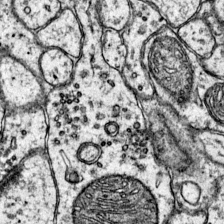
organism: Mouse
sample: Primary visual cortex